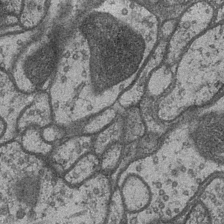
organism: Drosophila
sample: Optic medulla